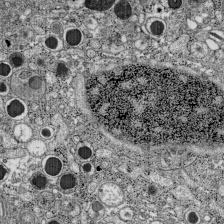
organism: C57BL Mouse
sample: Pancreatic islet